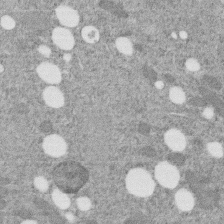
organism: C. elegans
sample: C. elegans embryo early stage